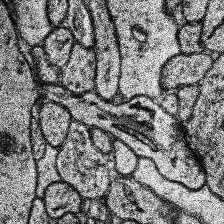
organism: Human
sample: Temporal Lobe